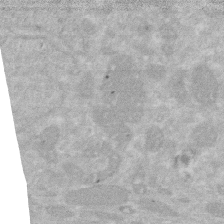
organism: Human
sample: HIV infected U937 cells